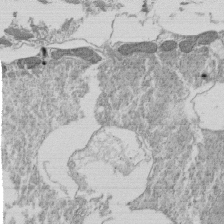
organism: Tetrahymena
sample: Cilia in tetrahymena